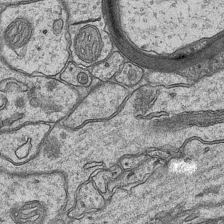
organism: Mouse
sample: CA1 Hippocampus